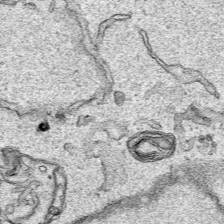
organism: Human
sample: Mitochondria in HCT116 cells